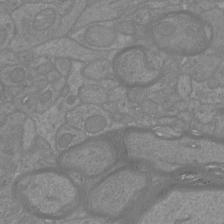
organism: Mouse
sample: Cortical neurons